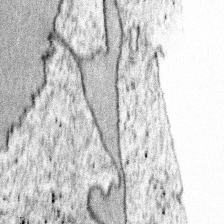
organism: Human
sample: HeLa cells